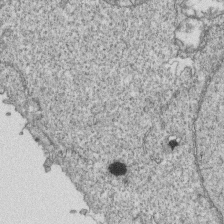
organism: Human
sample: HeLa cell HIV synapse